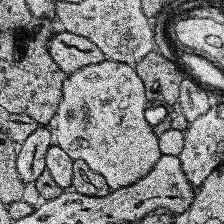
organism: Human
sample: Temporal Lobe